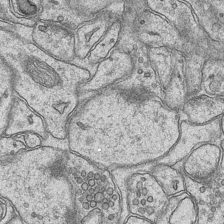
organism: Mouse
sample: CA1 Hippocampus